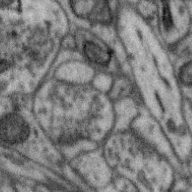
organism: Zebra finch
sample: Brain